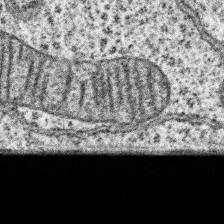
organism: Human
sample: HeLa cells